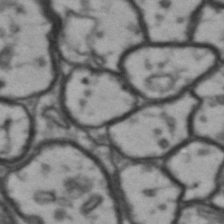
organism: Drosophila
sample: Brain